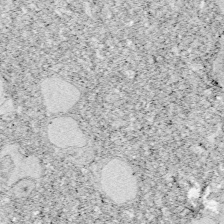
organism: Zebrafish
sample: Whole-Brain